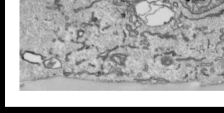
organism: Human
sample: Mitochondria in HCT116 cells